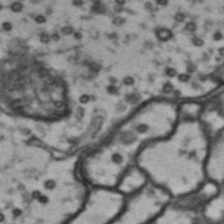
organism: Drosophila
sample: Brain